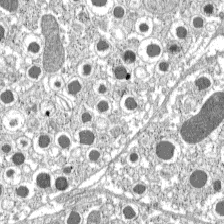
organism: C57BL Mouse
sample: Pancreatic islet